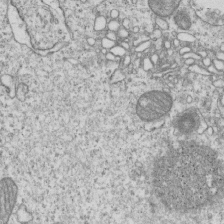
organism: Human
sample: MDA-MB-231 cells